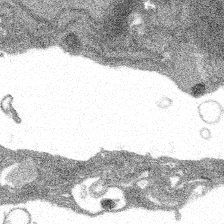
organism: Spongilla lacustris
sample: Multiple